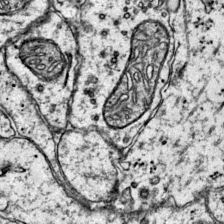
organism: Mouse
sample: Primary visual cortex